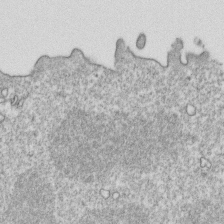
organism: Mouse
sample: Activated OT-1 CD8+ T cells